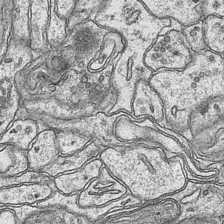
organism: Mouse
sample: CA1 Hippocampus